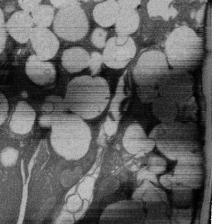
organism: Rat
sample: Salivary granule